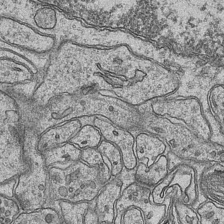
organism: Mouse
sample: CA1 Hippocampus